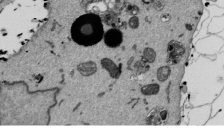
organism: Mouse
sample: ED-1 cell nuclei; centrioles